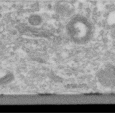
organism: Human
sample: Centriole in RPE cells